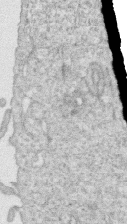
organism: Human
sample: HeLa cell HIV synapse